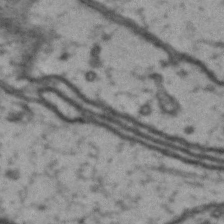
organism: Drosophila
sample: Brain